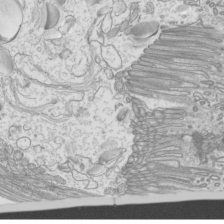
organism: Mouse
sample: Cilia; mouse epididymis